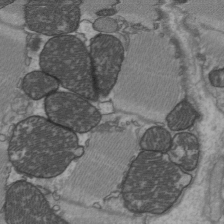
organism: C57BL Mouse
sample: Heart